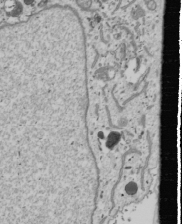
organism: Human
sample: Mitochondria in U2OS cells